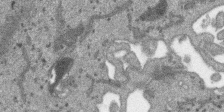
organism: Human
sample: Lung epithelial cells infected with SARS-CoV-2